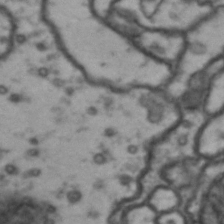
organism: Drosophila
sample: Brain